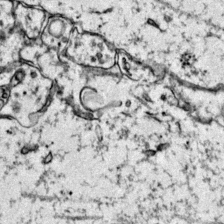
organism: Mouse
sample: Primary visual cortex